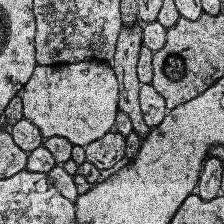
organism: Human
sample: Temporal Lobe